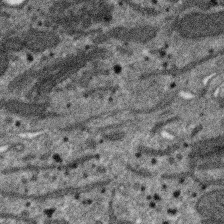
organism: Human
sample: Lung epithelial cells infected with SARS-CoV-2